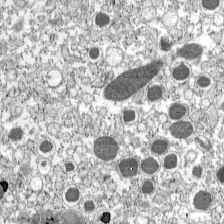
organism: C57BL Mouse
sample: Pancreatic islet